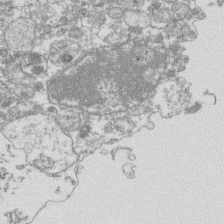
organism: Human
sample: HeLa cell HIV synapse